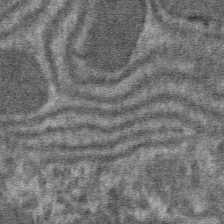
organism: Mouse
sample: Mouse hepatocytes